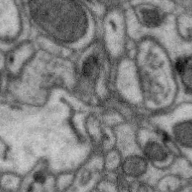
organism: Zebra finch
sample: Brain